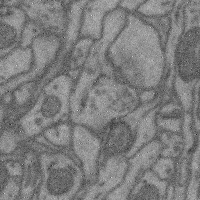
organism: Mouse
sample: Cerebral cortex